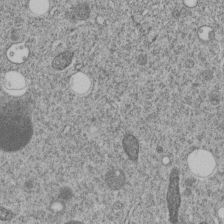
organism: C. elegans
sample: C. elegans embryo early stage